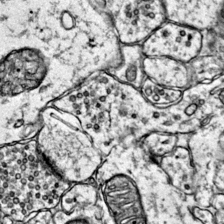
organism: Mouse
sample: Primary visual cortex